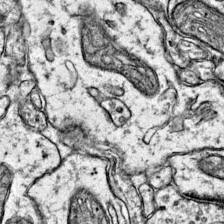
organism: Mouse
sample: Primary visual cortex